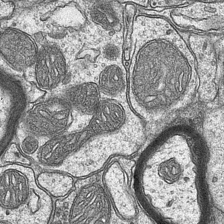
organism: Mouse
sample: CA1 Hippocampus